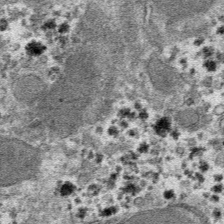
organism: Mouse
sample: Mouse hepatocytes